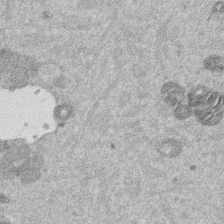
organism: Mouse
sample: Dividing mouse embryo 1 cell stage